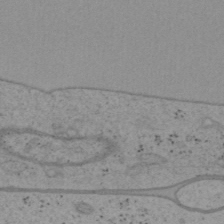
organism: Human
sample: HeLa cells